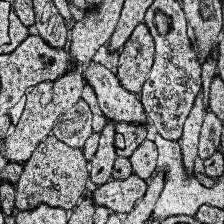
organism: Human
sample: Temporal Lobe